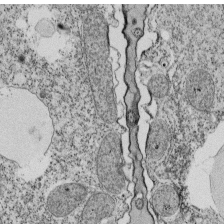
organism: Tetrahymena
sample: Cilia in tetrahymena